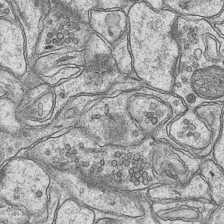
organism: Mouse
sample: CA1 Hippocampus